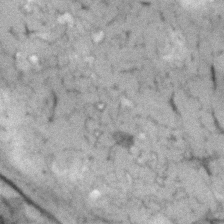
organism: Human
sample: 1205lu cells